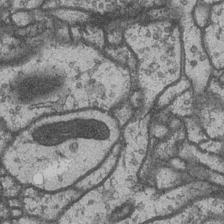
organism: Drosophila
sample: Optic medulla